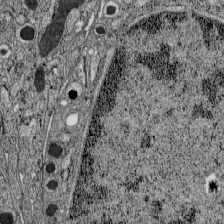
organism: C57BL Mouse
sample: Pancreatic islet